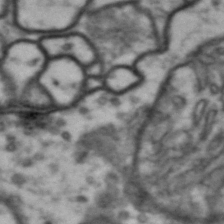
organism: Drosophila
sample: Brain